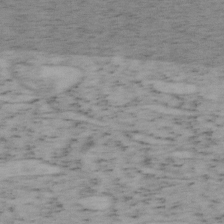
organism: Mouse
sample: OT-I killer T cells with ID8 ovarian cancer cells